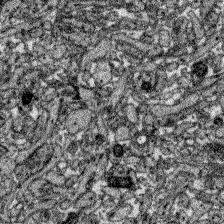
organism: Zebrafish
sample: Larval olfactory bulb